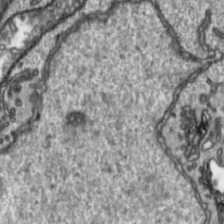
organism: Toxoplasma gondii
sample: Parasites in a vacuole inside a host cell